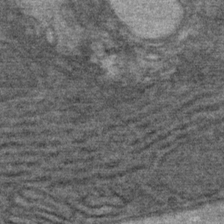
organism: Mouse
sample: Mouse Salivary gland